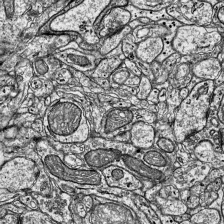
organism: Mouse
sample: Visual Cortex